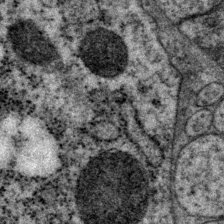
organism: P. pacificus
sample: Pharynx